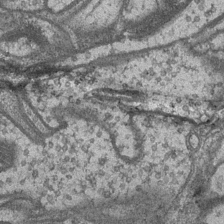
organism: Drosophila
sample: Optic medulla